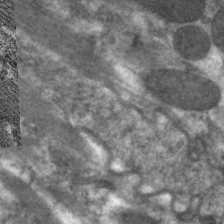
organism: C. elegans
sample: Pharynx